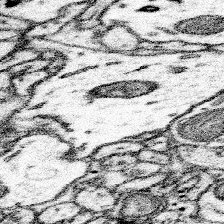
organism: Mouse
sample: Somatosensory cortex neuropil